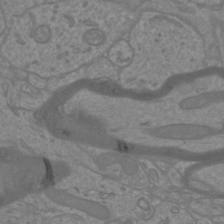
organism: Mouse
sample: Cortical neurons